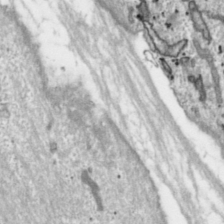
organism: Toxoplasma gondii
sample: Parasites in a vacuole inside a host cell